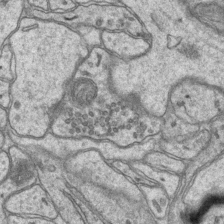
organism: Mouse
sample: CA1 Hippocampus